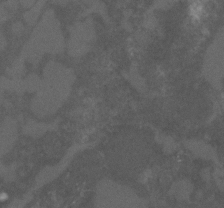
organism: C. elegans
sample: C. elegans embryo